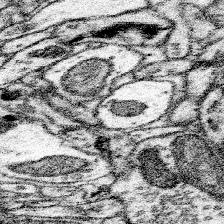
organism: Mouse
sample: Somatosensory cortex neuropil